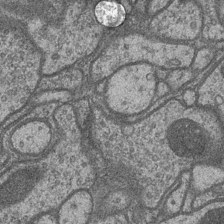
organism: Drosophila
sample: Optic medulla